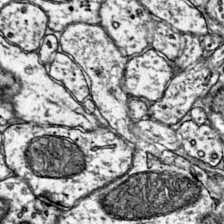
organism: Mouse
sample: Primary visual cortex